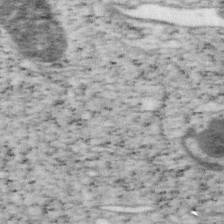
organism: Mouse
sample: OT-I killer T cells with ID8 ovarian cancer cells